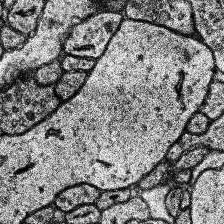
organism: Human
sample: Temporal Lobe